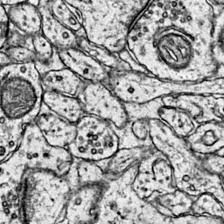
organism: Mouse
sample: Primary visual cortex